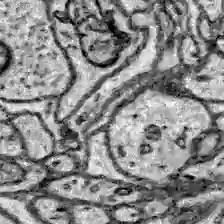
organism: Zebrafish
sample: Brain